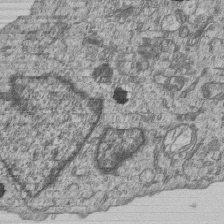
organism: Human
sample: MDA-MB-231 cells